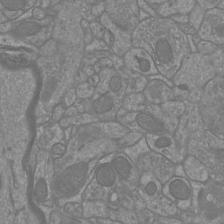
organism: Mouse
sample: Cortical neurons